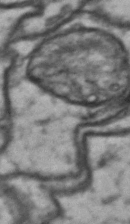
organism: Drosophila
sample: Brain